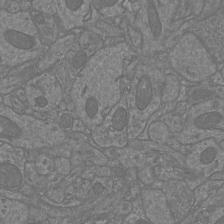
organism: Mouse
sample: Cortical neurons